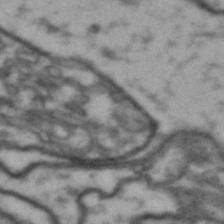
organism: Drosophila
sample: Brain